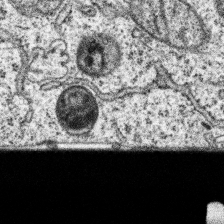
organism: Human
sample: HeLa cells